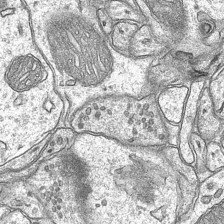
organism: Mouse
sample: CA1 Hippocampus